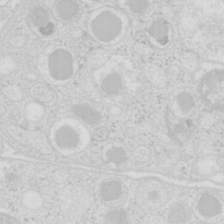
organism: Mouse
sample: Pancreas